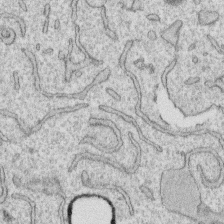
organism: Human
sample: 1205lu cells